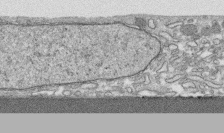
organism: Human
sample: CRL-1474